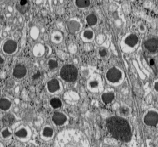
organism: C57BL Mouse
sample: Pancreatic islet